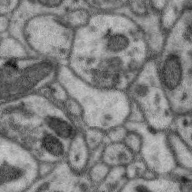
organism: Zebra finch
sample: Brain